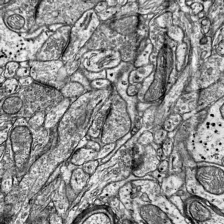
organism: Mouse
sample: Visual Cortex